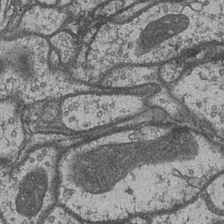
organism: Drosophila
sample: Optic medulla